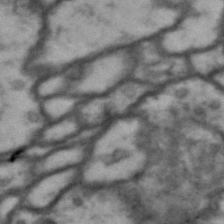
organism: Drosophila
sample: Brain